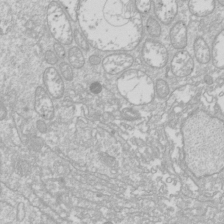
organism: Drosophila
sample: Cell division; meiosis; drosophila spermatocytes